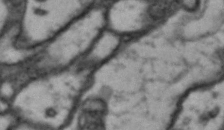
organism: Drosophila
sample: Brain